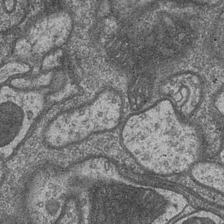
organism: Drosophila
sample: Optic medulla